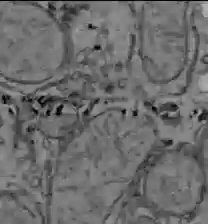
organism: C57BL Mouse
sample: Liver